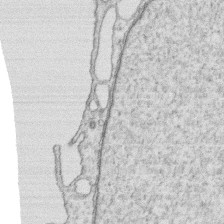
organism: Human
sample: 1205lu cells